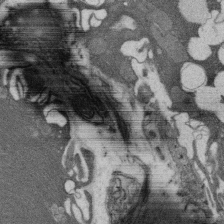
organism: Rat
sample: Salivary granule